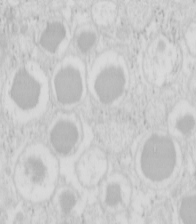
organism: Mouse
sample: Pancreas